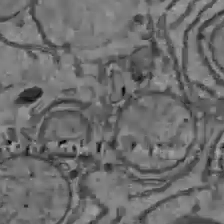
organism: C57BL Mouse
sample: Liver